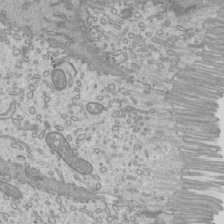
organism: Mouse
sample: Cilia; mouse epididymis